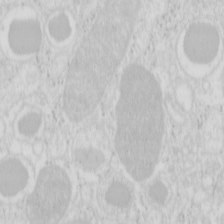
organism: Mouse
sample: Pancreas